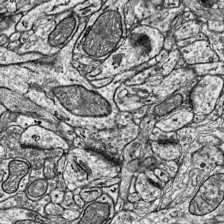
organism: Mouse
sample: Visual Cortex